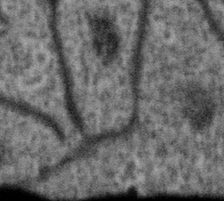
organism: Gemmata obscuriglobus